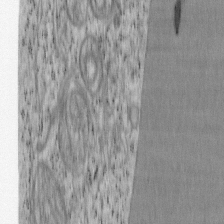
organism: Human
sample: HeLa cells